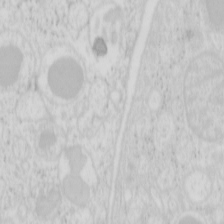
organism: Mouse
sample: Pancreas